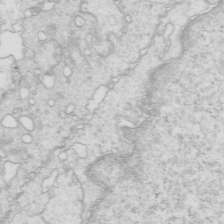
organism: Mouse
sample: Multiciliated cells